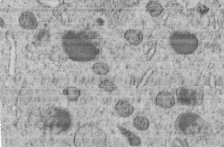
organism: C. elegans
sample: C. elegans embryo early stage